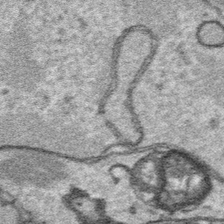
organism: Platynereis dumerilii